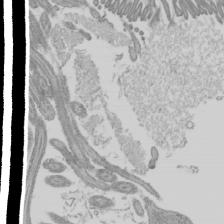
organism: Mouse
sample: Cilia; mouse epididymis